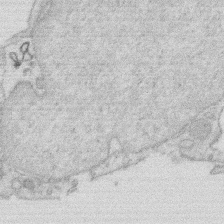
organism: Rat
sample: Salivary granule